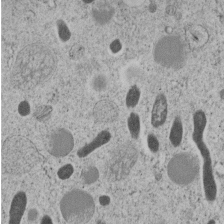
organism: C. elegans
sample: C. elegans embryo early stage